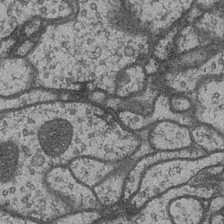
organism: Drosophila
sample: Optic medulla